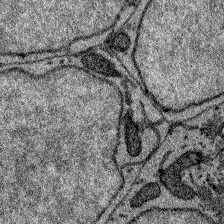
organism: Zebrafish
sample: Larval olfactory bulb